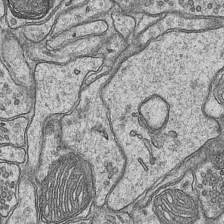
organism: Mouse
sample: CA1 Hippocampus